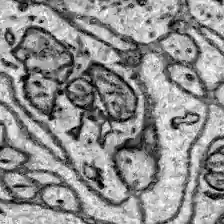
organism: Zebrafish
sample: Brain